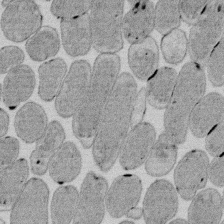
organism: E. coli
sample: Bacterial nucleoid